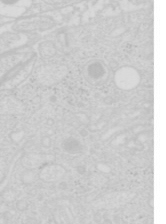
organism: Mouse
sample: Pancreas